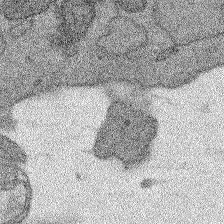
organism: Human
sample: HeLa cells